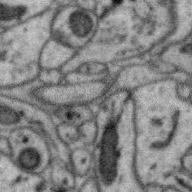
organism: Zebra finch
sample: Brain